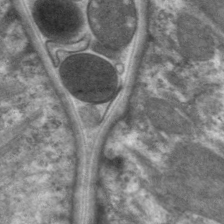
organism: C. elegans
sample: Pharynx